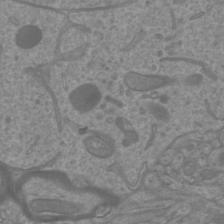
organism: Mouse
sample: Cortical neurons